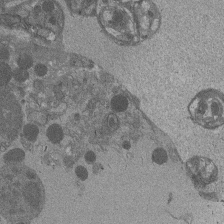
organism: Drosophila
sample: Antenna